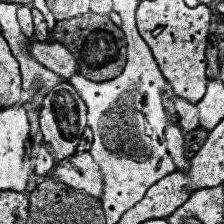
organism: Human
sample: Temporal Lobe